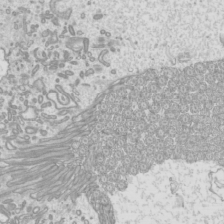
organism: Mouse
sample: Cilia; mouse epididymis